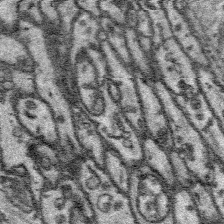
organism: Platynereis dumerilii